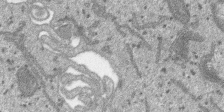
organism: Human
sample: Lung epithelial cells infected with SARS-CoV-2